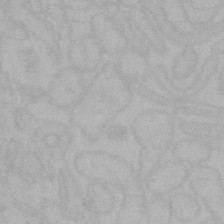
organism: Mouse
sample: Choroid plexus